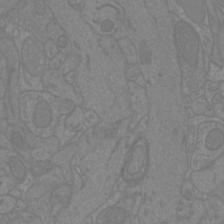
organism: Mouse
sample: Cortical neurons